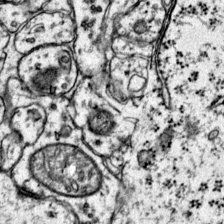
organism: Mouse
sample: Primary visual cortex